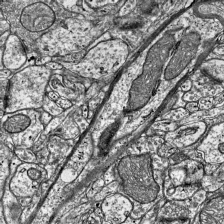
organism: Mouse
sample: Visual Cortex